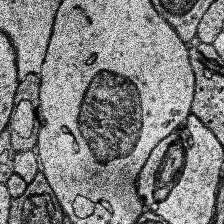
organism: Human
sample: Temporal Lobe